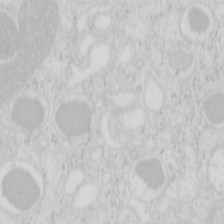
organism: Mouse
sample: Pancreas